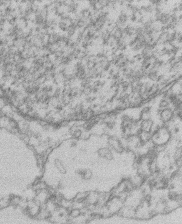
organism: Mouse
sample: T cell stromal cell synapse